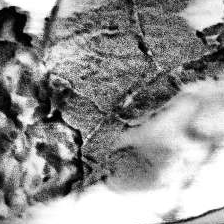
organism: Human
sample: Temporal Lobe